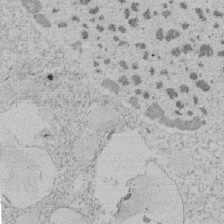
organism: Tetrahymena